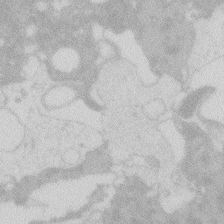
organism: Zebrafish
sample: Macrophage